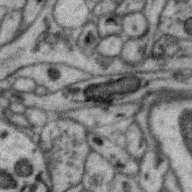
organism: Zebra finch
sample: Brain